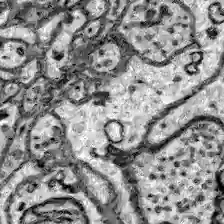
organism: Zebrafish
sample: Brain